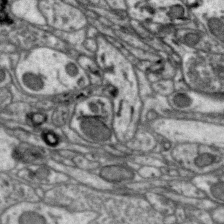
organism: Zebra finch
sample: Brain